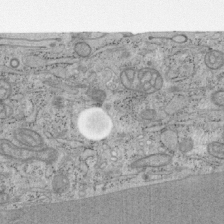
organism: Human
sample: HeLa cells